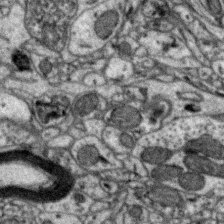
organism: Zebra finch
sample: Brain